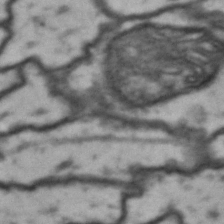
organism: Drosophila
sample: Brain